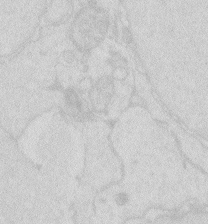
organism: Zebrafish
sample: Macrophage